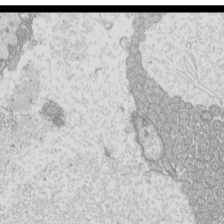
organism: Mouse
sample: Cilia; mouse epididymis